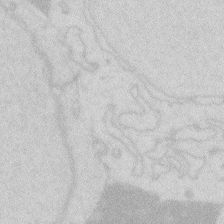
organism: Zebrafish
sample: Macrophage